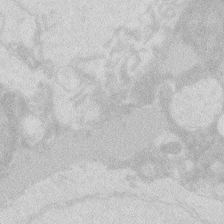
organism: Zebrafish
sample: Macrophage